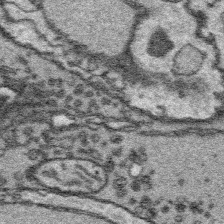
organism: Platynereis dumerilii